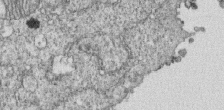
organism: Human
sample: HeLa cell HIV synapse